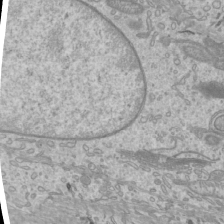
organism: Mouse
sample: Cilia; mouse epididymis